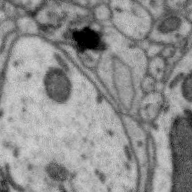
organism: Zebra finch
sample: Brain